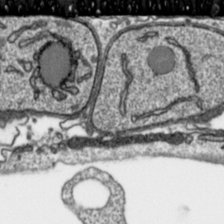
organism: Toxoplasma gondii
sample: Parasites in a vacuole inside a host cell